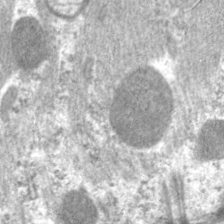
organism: C. elegans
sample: Pharynx